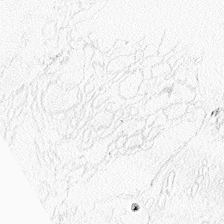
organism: Zebrafish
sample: Whole-Brain